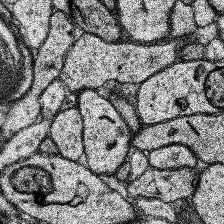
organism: Human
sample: Temporal Lobe